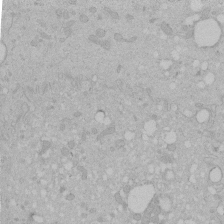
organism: Human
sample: Melanocyte Keratinocyte synapse skin construct